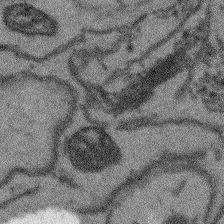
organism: Arabidopsis thaliana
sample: Root tip